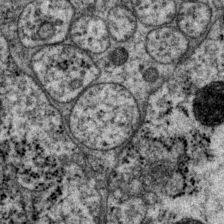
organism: P. pacificus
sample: Pharynx